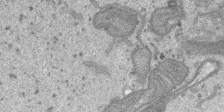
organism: Human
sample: Lung epithelial cells infected with SARS-CoV-2